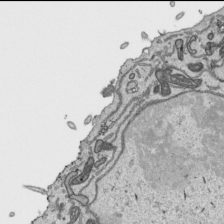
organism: Human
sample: Mitochondria in HCT116 cells